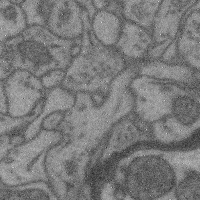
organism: Mouse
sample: Cerebral cortex